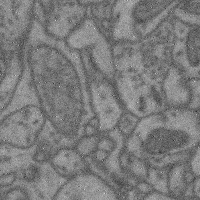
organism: Mouse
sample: Cerebral cortex